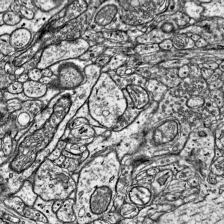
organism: Mouse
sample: Visual Cortex